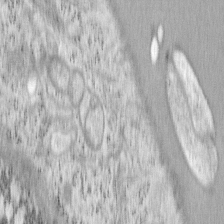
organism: Human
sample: HeLa cells